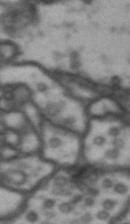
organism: Drosophila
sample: Brain